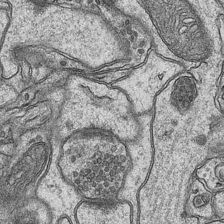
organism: Mouse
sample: CA1 Hippocampus